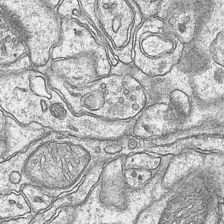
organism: Mouse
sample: CA1 Hippocampus